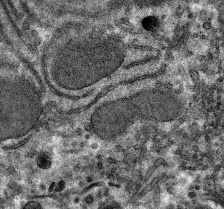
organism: Mouse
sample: Mouse hepatocytes